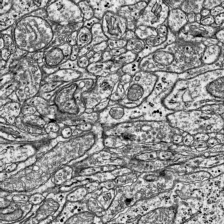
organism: Mouse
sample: Visual Cortex